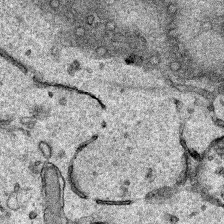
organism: Human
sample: Mitochondria in HCT116 cells